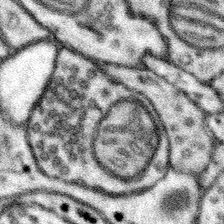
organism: Mouse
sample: Somatosensory cortex neuropil